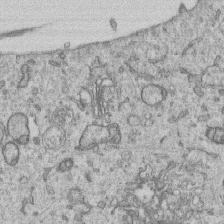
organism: Human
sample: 1205lu cells